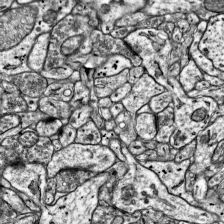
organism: Mouse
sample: Visual Cortex